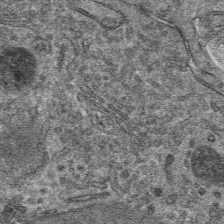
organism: Mouse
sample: Mouse hepatocytes